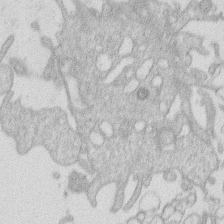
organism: Human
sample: Macrophage cells